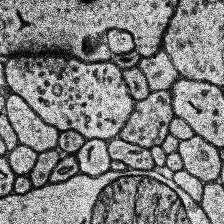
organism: Human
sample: Temporal Lobe